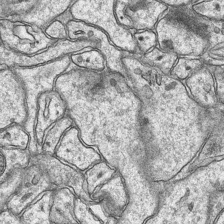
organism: Mouse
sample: CA1 Hippocampus